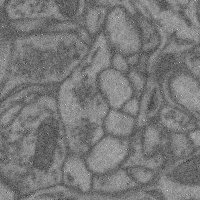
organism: Mouse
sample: Cerebral cortex